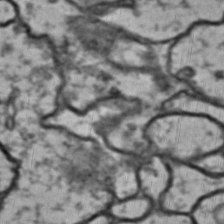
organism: Drosophila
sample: Brain